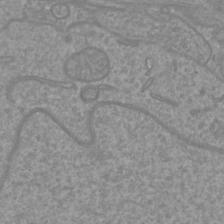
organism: Mouse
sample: Cortical neurons